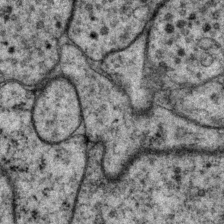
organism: P. pacificus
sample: Pharynx